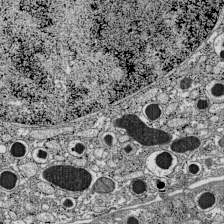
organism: C57BL Mouse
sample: Pancreatic islet